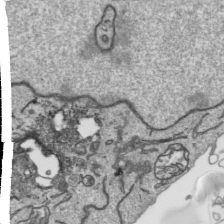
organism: Human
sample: Mitochondria in HCT116 cells